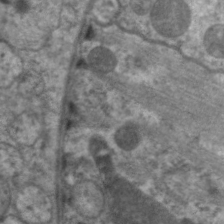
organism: C. elegans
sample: Pharynx